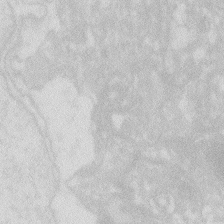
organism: Zebrafish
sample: Macrophage